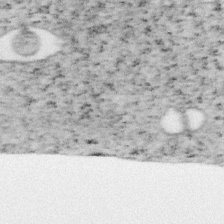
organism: Mouse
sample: OT-I killer T cells with ID8 ovarian cancer cells